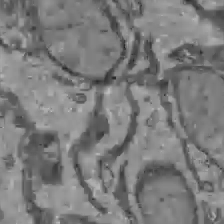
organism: C57BL Mouse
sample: Liver